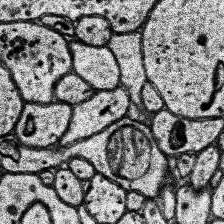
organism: Human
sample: Temporal Lobe